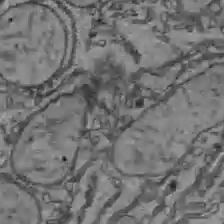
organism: C57BL Mouse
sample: Liver